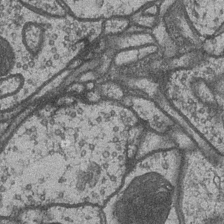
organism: Drosophila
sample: Optic medulla